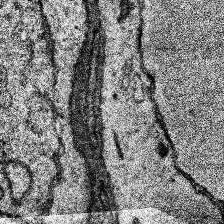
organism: Human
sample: Temporal Lobe